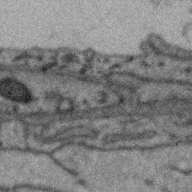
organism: Zebra finch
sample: Brain